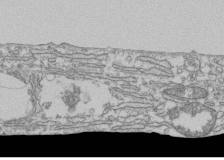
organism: Human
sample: Fibroblast cells